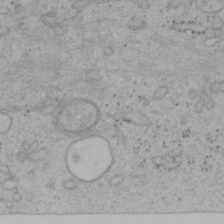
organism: Human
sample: HeLa cells